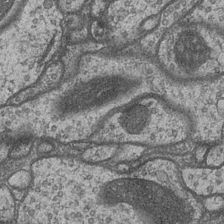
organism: Drosophila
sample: Optic medulla